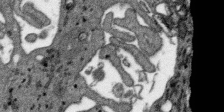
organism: Human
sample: Lung epithelial cells, uninfected (mock) control